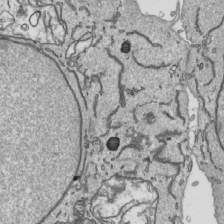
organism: Human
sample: Mitochondria in HCT116 cells